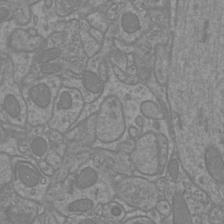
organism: Mouse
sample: Cortical neurons